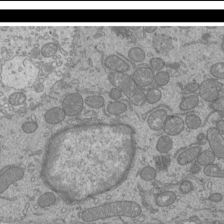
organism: Mouse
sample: Cilia; mouse epididymis